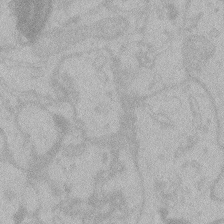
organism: Zebrafish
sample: Macrophage infected with Toxoplasma gondii